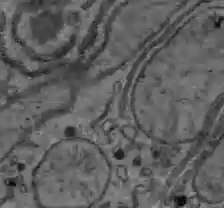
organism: C57BL Mouse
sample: Liver